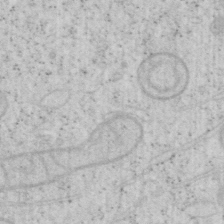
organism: Human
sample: HeLa cells